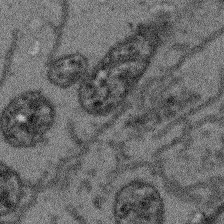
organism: Arabidopsis thaliana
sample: Root tip